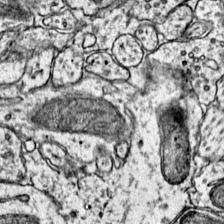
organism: Mouse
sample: Primary visual cortex